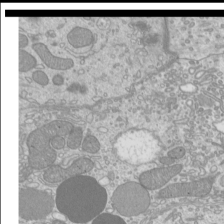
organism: Mouse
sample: Cilia; mouse epididymis